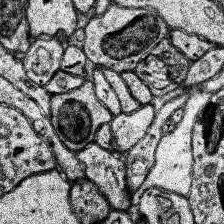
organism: Human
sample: Temporal Lobe